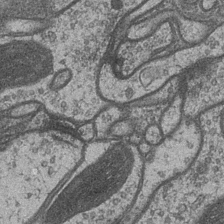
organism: Drosophila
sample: Optic medulla